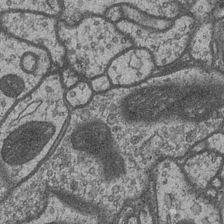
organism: Drosophila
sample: Optic medulla